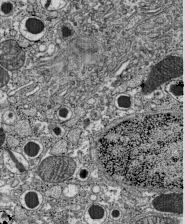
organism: C57BL Mouse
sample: Pancreatic islet